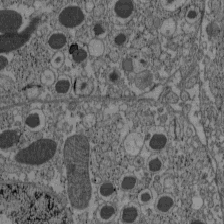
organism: C57BL Mouse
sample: Pancreatic islet